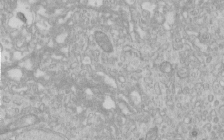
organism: Human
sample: Centriole in RPE cells